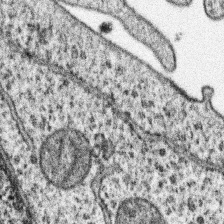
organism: Human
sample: HeLa cells